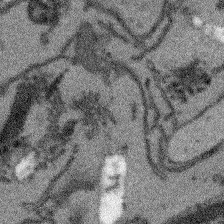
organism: Arabidopsis thaliana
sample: Root tip